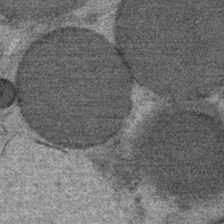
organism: Mouse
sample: Mouse Salivary gland